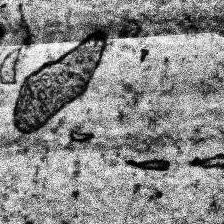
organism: Human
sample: Temporal Lobe